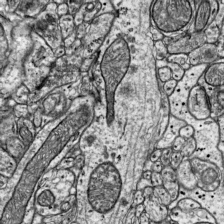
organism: Mouse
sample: Visual Cortex